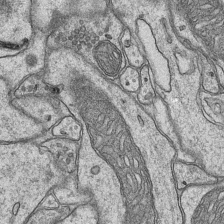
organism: Mouse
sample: CA1 Hippocampus